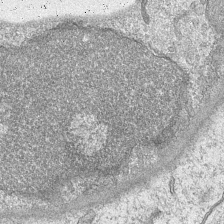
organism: Mouse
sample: CA1 Hippocampus